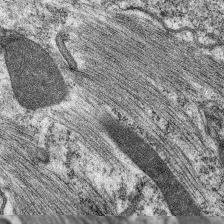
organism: C. elegans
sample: Pharynx